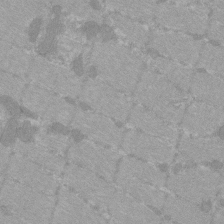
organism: C57BL Mouse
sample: Tibialis anterior muscle cell